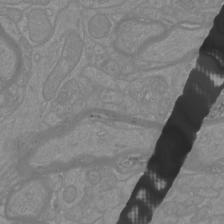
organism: Mouse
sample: Cortical neurons